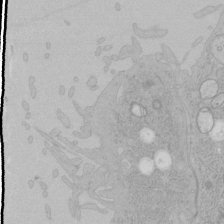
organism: Human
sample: Mitochondria in HCT116 cells